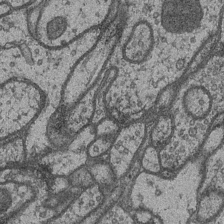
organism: Drosophila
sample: Optic medulla